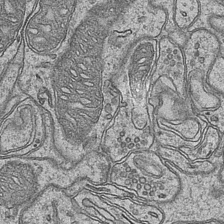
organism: Mouse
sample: CA1 Hippocampus